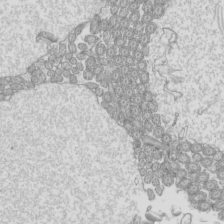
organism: Mouse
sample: Cilia; mouse epididymis